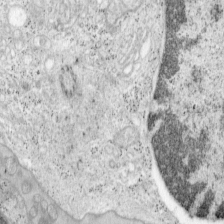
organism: Mouse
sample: OT-I killer T cells with ID8 ovarian cancer cells